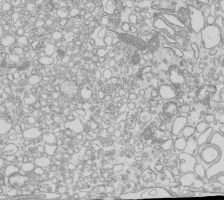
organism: Mouse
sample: Macrophages